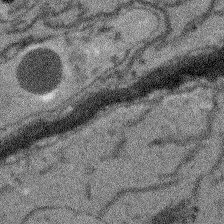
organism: Arabidopsis thaliana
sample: Root tip